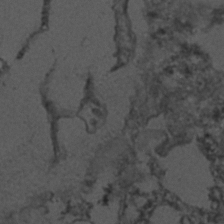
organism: C. elegans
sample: C. elegans embryo